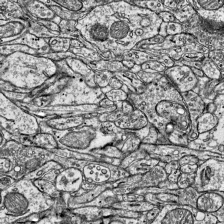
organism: Mouse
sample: Visual Cortex